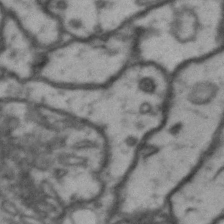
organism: Drosophila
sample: Brain